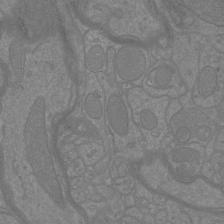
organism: Mouse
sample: Cortical neurons